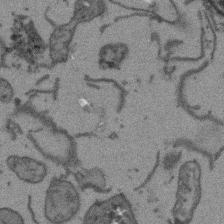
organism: Arabidopsis thaliana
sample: Root tip